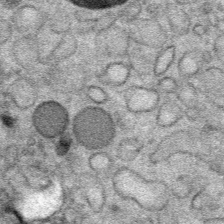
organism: Mouse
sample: Mouse Salivary gland